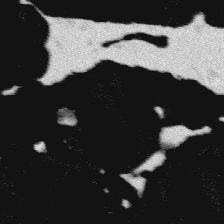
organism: Platynereis dumerilii